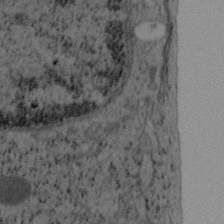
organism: Human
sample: HeLa cells